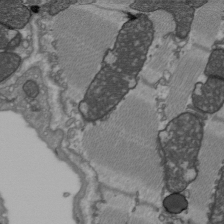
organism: C57BL Mouse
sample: Heart